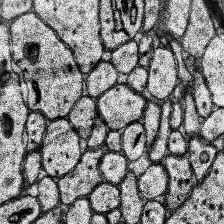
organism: Human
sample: Temporal Lobe